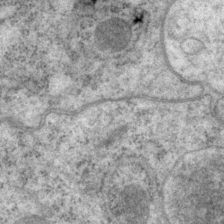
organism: P. pacificus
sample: Pharynx